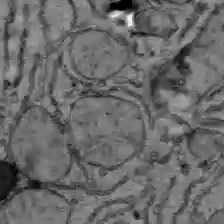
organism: C57BL Mouse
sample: Liver